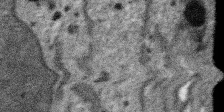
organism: Human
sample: Lung epithelial cells infected with SARS-CoV-2